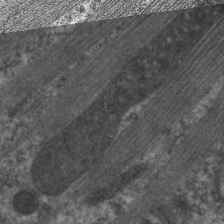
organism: C. elegans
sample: Pharynx